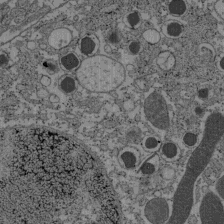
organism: C57BL Mouse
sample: Pancreatic islet